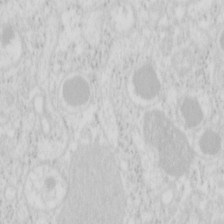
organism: Mouse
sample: Pancreas